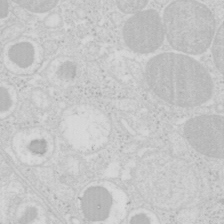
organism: Mouse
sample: Pancreas